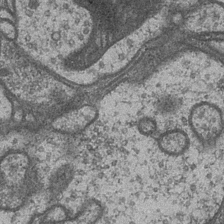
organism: Drosophila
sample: Optic medulla